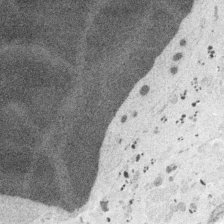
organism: Embia sp.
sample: Silk gland